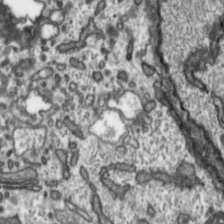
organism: Toxoplasma gondii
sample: Parasites in a vacuole inside a host cell